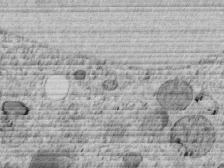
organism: C. elegans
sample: C. elegans embryo early stage